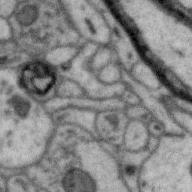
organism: Zebra finch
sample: Brain